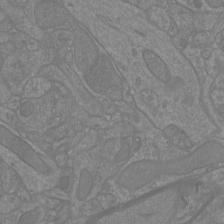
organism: Mouse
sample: Cortical neurons